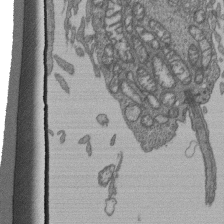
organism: Human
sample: Retinal organoid Rod and Cone cells